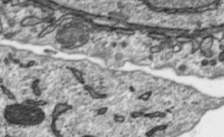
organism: Toxoplasma gondii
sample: Parasites in a vacuole inside a host cell